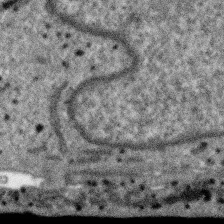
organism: Human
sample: Lung epithelial cells infected with SARS-CoV-2